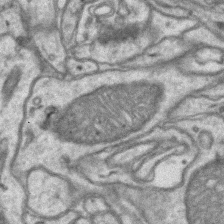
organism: Mouse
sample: CA1 Hippocampus